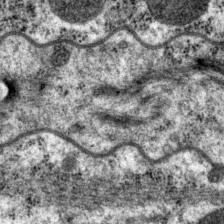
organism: P. pacificus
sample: Pharynx